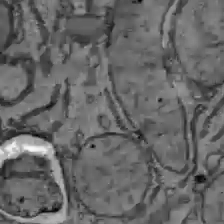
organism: C57BL Mouse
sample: Liver